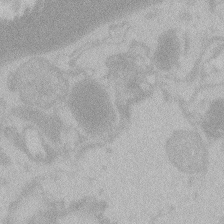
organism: Zebrafish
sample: Macrophage infected with Toxoplasma gondii